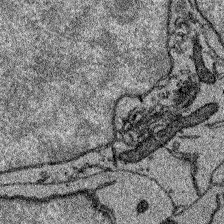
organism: Zebrafish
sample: Larval olfactory bulb